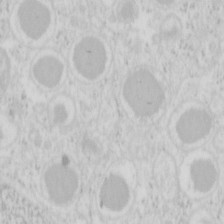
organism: Mouse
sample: Pancreas